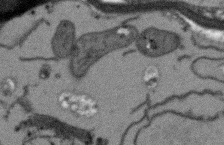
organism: Arabidopsis thaliana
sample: Root tip